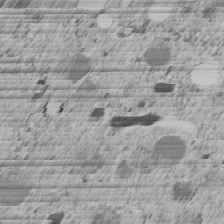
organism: C. elegans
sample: C. elegans embryo early stage